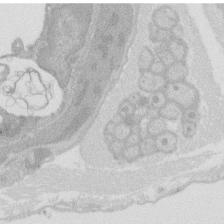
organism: Rat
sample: Salivary granule